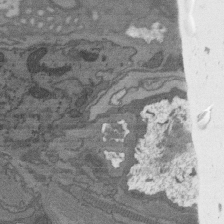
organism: C. elegans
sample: AFD neurons C. elegans